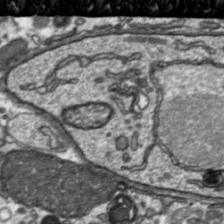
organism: Toxoplasma gondii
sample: Parasites in a vacuole inside a host cell